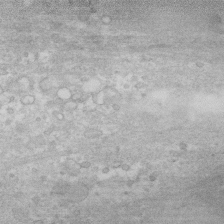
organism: Human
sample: Fibroblast cells